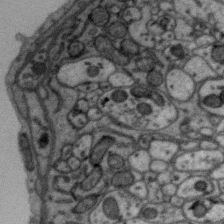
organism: Zebra finch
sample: Brain